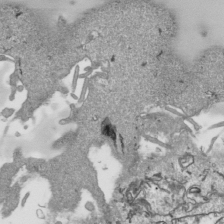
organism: Human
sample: Mitochondria in HCT116 cells